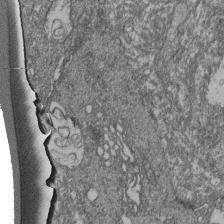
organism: Human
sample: Retinal organoid Rod and Cone cells